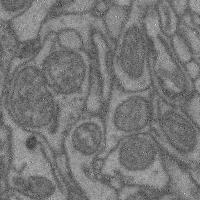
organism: Mouse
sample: Cerebral cortex